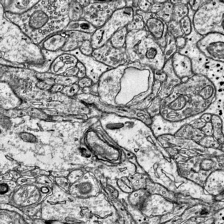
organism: Mouse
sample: Visual Cortex